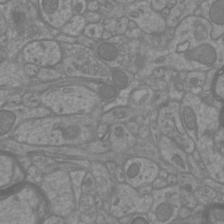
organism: Mouse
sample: Cortical neurons